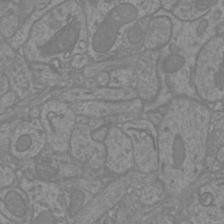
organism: Mouse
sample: Cortical neurons